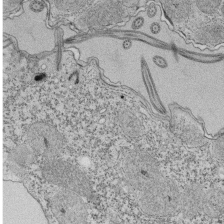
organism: Tetrahymena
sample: Cilia in tetrahymena